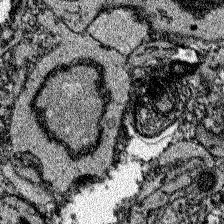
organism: Zebrafish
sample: Larval olfactory bulb